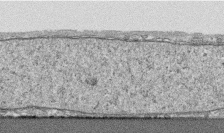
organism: Human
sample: CRL-1474